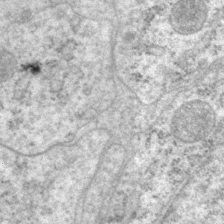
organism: P. pacificus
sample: Pharynx